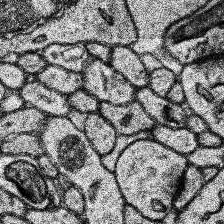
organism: Human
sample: Temporal Lobe